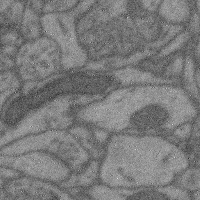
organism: Mouse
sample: Cerebral cortex